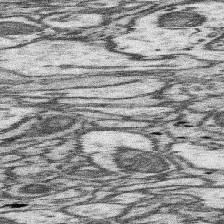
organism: Mouse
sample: Somatosensory cortex neuropil